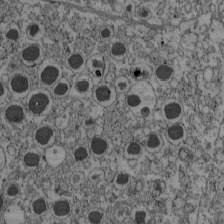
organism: C57BL Mouse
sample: Pancreatic islet